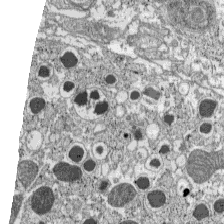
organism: C57BL Mouse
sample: Pancreatic islet